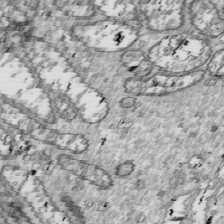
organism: Drosophila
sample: Cell division; meiosis; drosophila spermatocytes